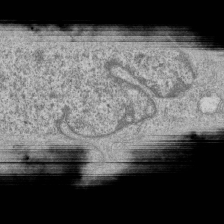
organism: Human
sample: MDA-MB-231 cells